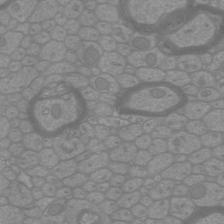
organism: Mouse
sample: Cortical neurons